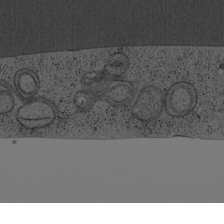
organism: African green monkey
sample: COS-7 cells